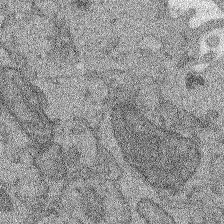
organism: Human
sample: HeLa cells